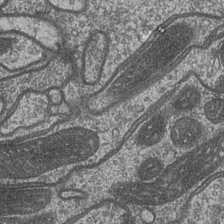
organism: Drosophila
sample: Optic medulla